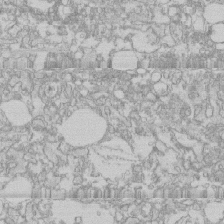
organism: Human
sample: CRL-1474